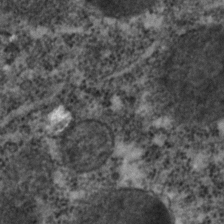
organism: C. elegans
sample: C. elegans embryo